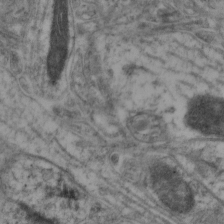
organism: Mouse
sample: Neocortex